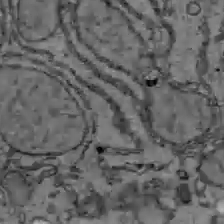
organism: C57BL Mouse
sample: Liver